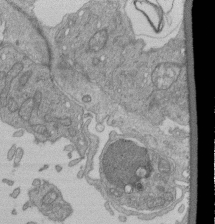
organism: Human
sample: Retinal organoid Rod and Cone cells